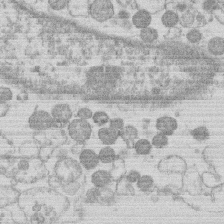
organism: Human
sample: Macrophage cells